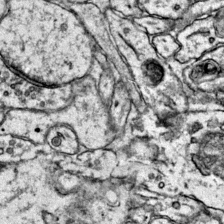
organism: Mouse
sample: Primary visual cortex